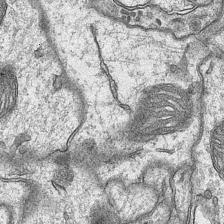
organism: Mouse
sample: CA1 Hippocampus